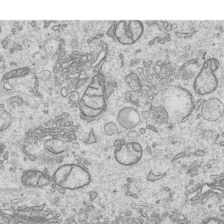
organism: Human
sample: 1205lu cells